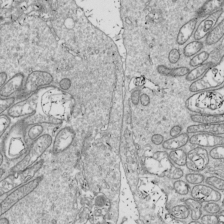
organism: Drosophila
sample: Cell division; meiosis; drosophila spermatocytes